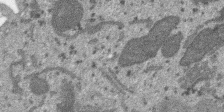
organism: Human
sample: Lung epithelial cells infected with SARS-CoV-2